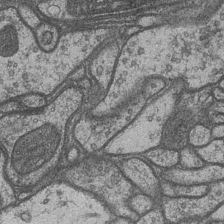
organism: Drosophila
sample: Optic medulla